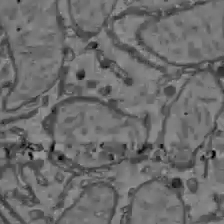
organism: C57BL Mouse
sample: Liver